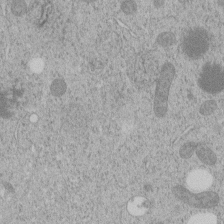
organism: C. elegans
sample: C. elegans embryo early stage